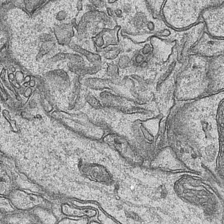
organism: Mouse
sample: CA1 Hippocampus